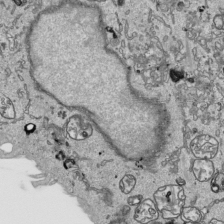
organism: Human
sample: Mitochondria in HCT116 cells